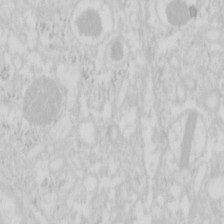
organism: Mouse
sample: Pancreas